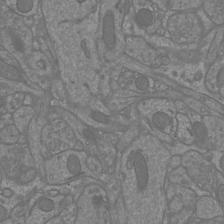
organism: Mouse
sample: Cortical neurons